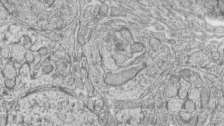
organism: Zebrafish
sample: synaptic ribbons in rod cells and cone cells